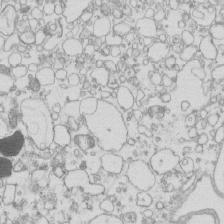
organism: Mouse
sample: Macrophages